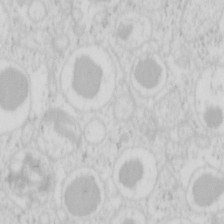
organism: Mouse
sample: Pancreas